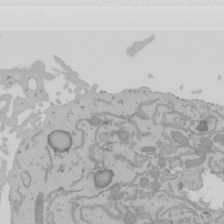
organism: Mouse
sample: Cancer cell death in ED-1 cells